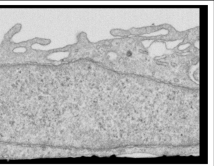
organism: Human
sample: Centriole in RPE cells